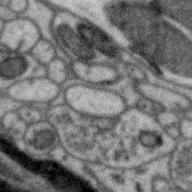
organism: Zebra finch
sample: Brain